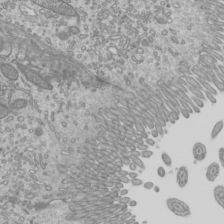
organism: Mouse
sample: Cilia; mouse epididymis